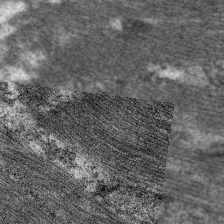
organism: C. elegans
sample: Pharynx